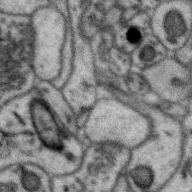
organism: Zebra finch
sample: Brain